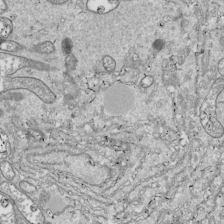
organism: Drosophila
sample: Cell division; meiosis; drosophila spermatocytes